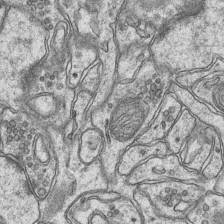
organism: Mouse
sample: CA1 Hippocampus